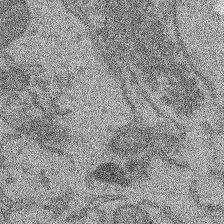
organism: Human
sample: HeLa cells